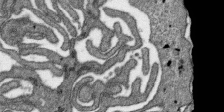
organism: Human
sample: Lung epithelial cells, uninfected (mock) control